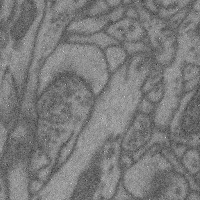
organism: Mouse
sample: Cerebral cortex